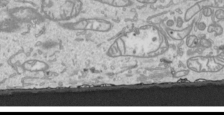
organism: Human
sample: Mitochondria in HCT116 cells